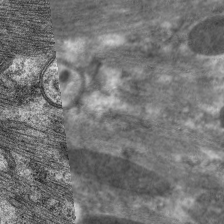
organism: C. elegans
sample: Pharynx